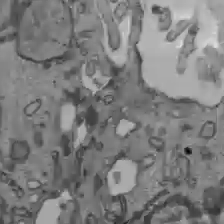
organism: C57BL Mouse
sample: Liver